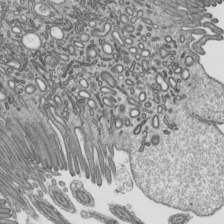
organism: Mouse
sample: Mouse epididymis efferent ductule cilia